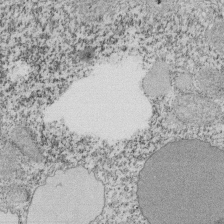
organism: Tetrahymena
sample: Cilia in tetrahymena